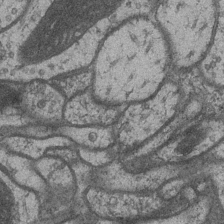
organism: Drosophila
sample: Optic medulla